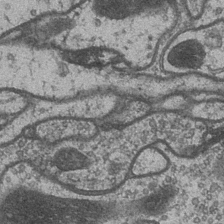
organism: Drosophila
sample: Optic medulla